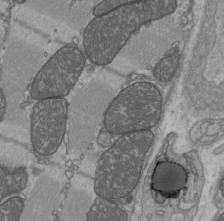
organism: C57BL Mouse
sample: Heart